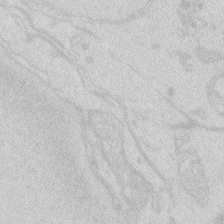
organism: Zebrafish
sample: Macrophage